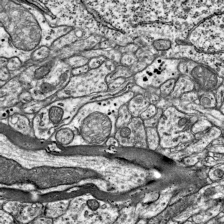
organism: Mouse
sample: Visual Cortex